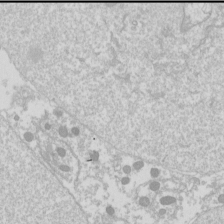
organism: Drosophila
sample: Cell division; meiosis; drosophila spermatocytes